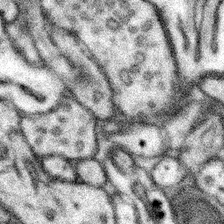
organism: Mouse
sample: Somatosensory cortex neuropil